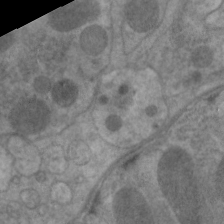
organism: C. elegans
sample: Pharynx